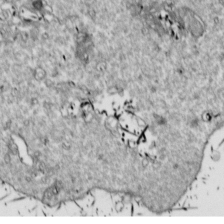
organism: Drosophila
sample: Cell division; meiosis; drosophila spermatocytes